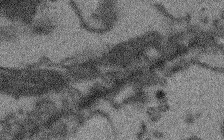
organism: Arabidopsis thaliana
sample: Root tip